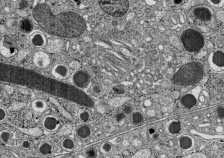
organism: C57BL Mouse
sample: Pancreatic islet